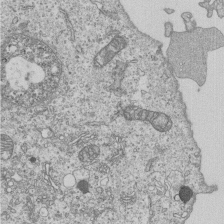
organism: Human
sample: MDA-MB-231 cells